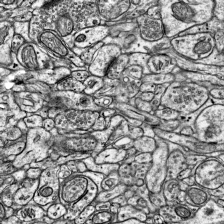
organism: Mouse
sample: Visual Cortex